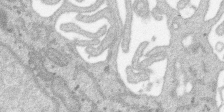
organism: Human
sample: Lung epithelial cells infected with SARS-CoV-2